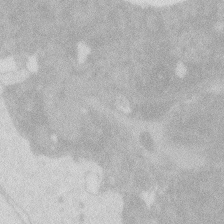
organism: Zebrafish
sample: Macrophage